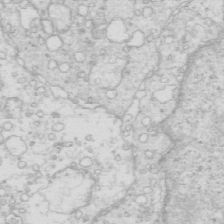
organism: Mouse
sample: Multiciliated cells